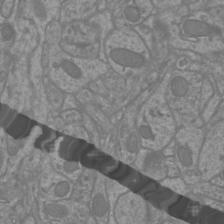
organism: Mouse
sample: Cortical neurons